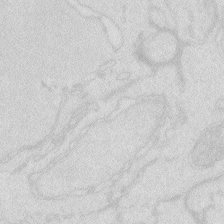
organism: Zebrafish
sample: Macrophage